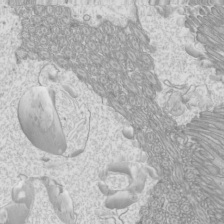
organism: Mouse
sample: Cilia; mouse epididymis